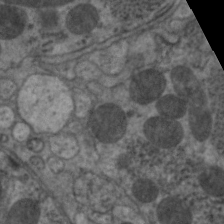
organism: C. elegans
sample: Pharynx